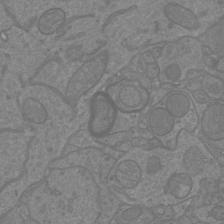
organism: Mouse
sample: Cortical neurons